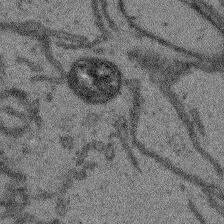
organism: Arabidopsis thaliana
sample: Root tip